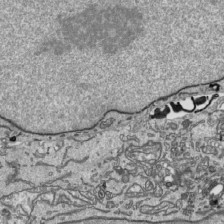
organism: Human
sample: Mitochondria in HCT116 cells